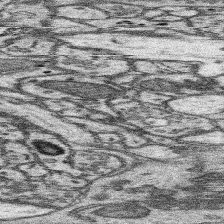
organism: Mouse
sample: Somatosensory cortex neuropil